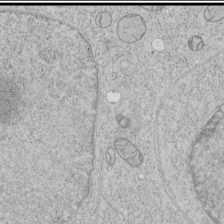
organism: Human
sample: Mitochondria in HCT116 cells